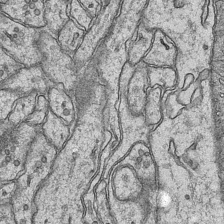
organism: Mouse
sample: CA1 Hippocampus